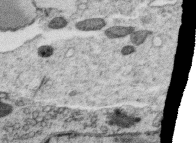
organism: C. elegans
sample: C. elegans oocyte; sperm cells